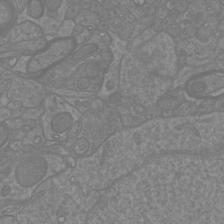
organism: Mouse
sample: Cortical neurons